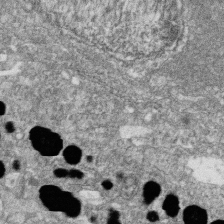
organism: Zebrafish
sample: Cilia; retinal pigment epithelium